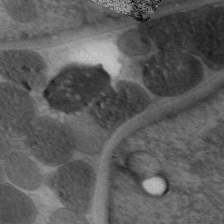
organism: C. elegans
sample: Pharynx